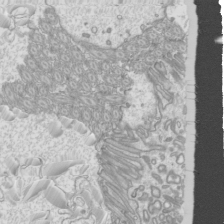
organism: Mouse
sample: Cilia; mouse epididymis